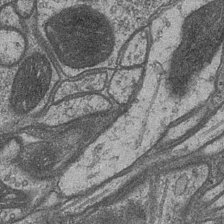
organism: Drosophila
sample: Optic medulla